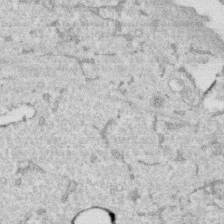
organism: Human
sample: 1205lu cells